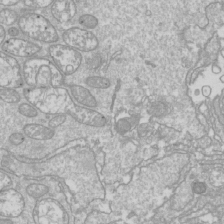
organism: Drosophila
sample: Cell division; meiosis; drosophila spermatocytes